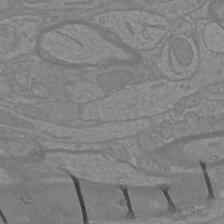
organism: Mouse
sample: Cortical neurons